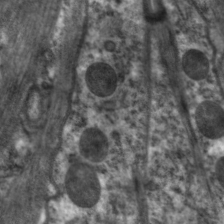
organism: C. elegans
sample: Pharynx